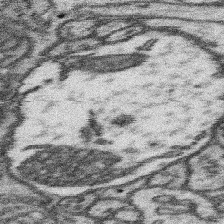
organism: Mouse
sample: Somatosensory cortex neuropil